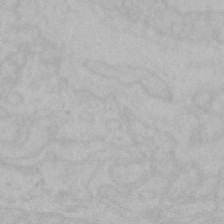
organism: Mouse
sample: Choroid plexus